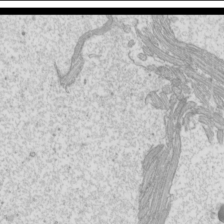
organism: Mouse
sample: Cilia; mouse epididymis